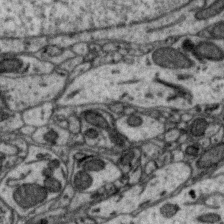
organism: Zebra finch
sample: Brain